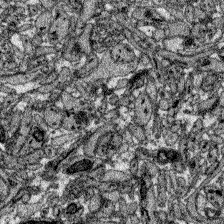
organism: Zebrafish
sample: Larval olfactory bulb